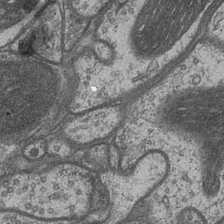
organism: Drosophila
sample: Optic medulla